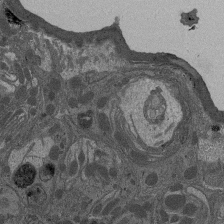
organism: Drosophila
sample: Antenna